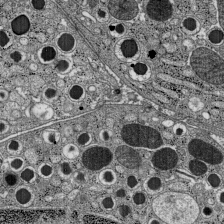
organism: C57BL Mouse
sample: Pancreatic islet